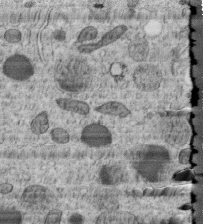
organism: C. elegans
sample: C. elegans embryo early stage